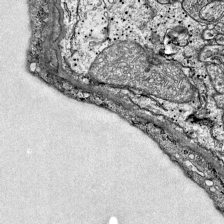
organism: Mouse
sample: Visual Cortex